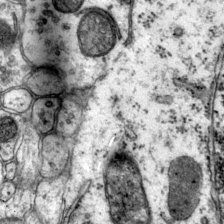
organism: Mouse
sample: Primary visual cortex